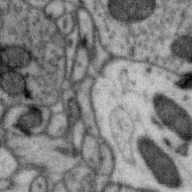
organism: Zebra finch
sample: Brain